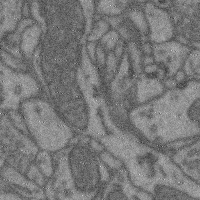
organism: Mouse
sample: Cerebral cortex